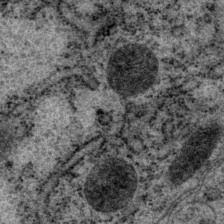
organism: P. pacificus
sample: Pharynx